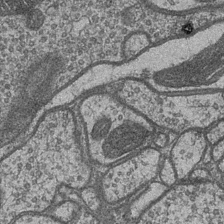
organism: Drosophila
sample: Optic medulla